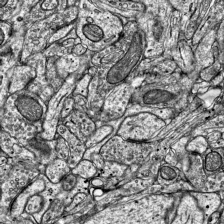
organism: Mouse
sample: Visual Cortex